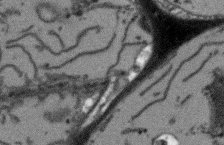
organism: Arabidopsis thaliana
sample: Root tip